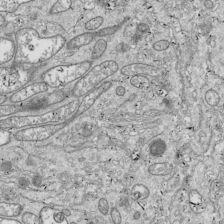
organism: Drosophila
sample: Cell division; meiosis; drosophila spermatocytes